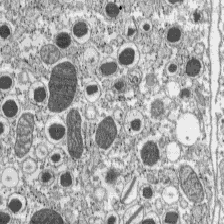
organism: C57BL Mouse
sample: Pancreatic islet